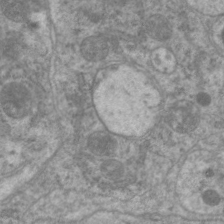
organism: C. elegans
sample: Pharynx